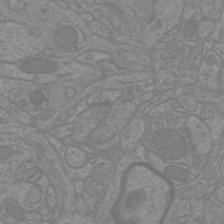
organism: Mouse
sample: Cortical neurons